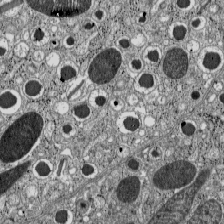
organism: C57BL Mouse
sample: Pancreatic islet